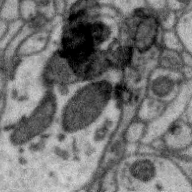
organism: Zebra finch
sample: Brain